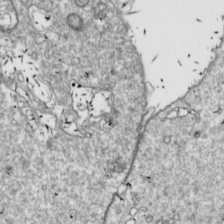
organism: Drosophila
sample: Cell division; meiosis; drosophila spermatocytes